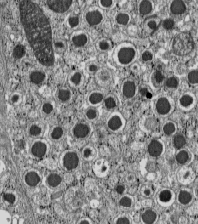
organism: C57BL Mouse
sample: Pancreatic islet